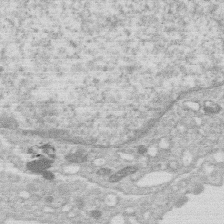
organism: Human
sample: Macrophage cells